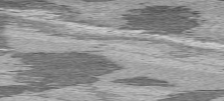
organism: C57BL Mouse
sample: Heart